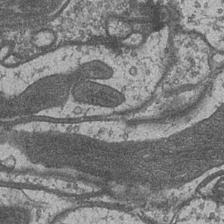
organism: Drosophila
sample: Optic medulla